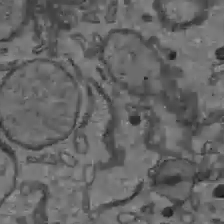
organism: C57BL Mouse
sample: Liver